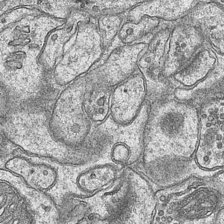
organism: Mouse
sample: CA1 Hippocampus